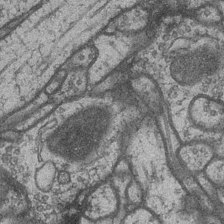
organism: Drosophila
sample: Optic medulla